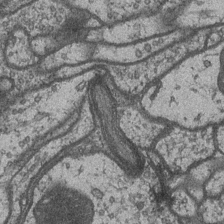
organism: Drosophila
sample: Optic medulla